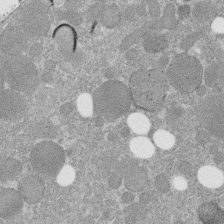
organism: C. elegans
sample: C. elegans embryo early stage